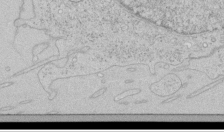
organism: Human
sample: Mitochondria in HCT116 cells